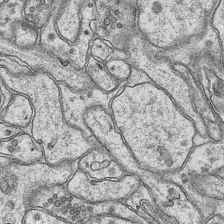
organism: Mouse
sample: CA1 Hippocampus